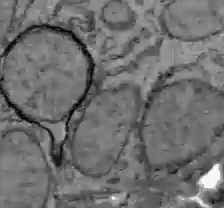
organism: C57BL Mouse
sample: Liver